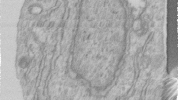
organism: Human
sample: Centriole in RPE cells